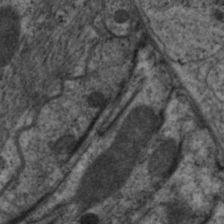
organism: C. elegans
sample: Pharynx